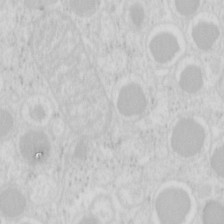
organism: Mouse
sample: Pancreas